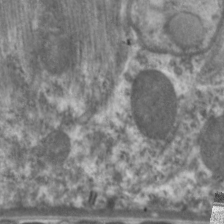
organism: C. elegans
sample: Pharynx